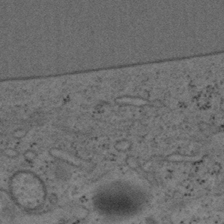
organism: Human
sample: HeLa cells